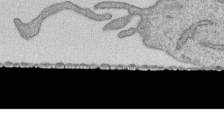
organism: Human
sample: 1205lu cells